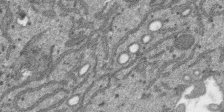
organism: Human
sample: Lung epithelial cells infected with SARS-CoV-2